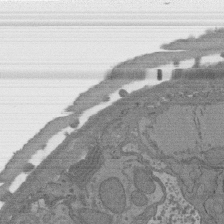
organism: C. elegans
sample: AFD neurons C. elegans